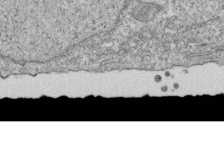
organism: Human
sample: HeLa cell HIV synapse